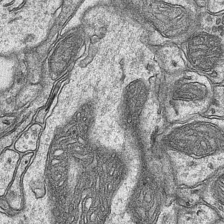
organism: Mouse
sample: CA1 Hippocampus